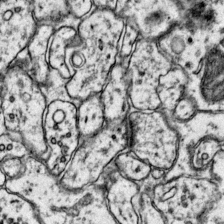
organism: Mouse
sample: Primary visual cortex